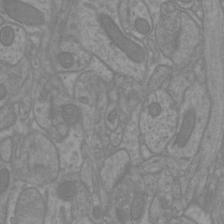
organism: Mouse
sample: Cortical neurons